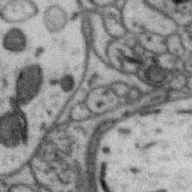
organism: Zebra finch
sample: Brain